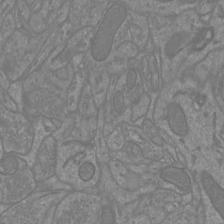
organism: Mouse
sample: Cortical neurons